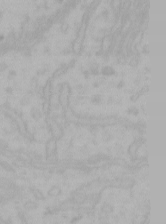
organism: Mouse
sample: Choroid plexus